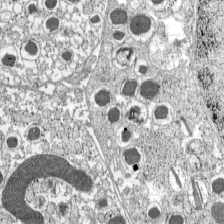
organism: C57BL Mouse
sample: Pancreatic islet